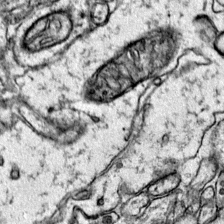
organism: Mouse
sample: Primary visual cortex